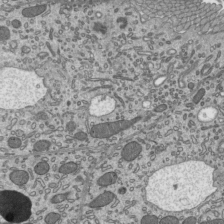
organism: Mouse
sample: Mouse epididymis efferent ductule cilia